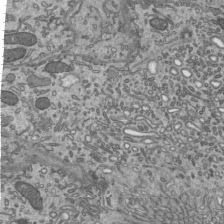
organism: Mouse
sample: Mouse epididymis efferent ductule cilia